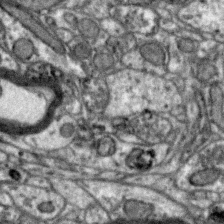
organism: Zebra finch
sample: Brain